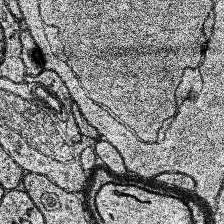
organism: Human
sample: Temporal Lobe